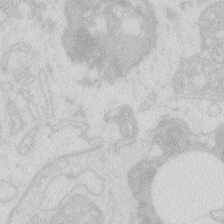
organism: Zebrafish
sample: Macrophage